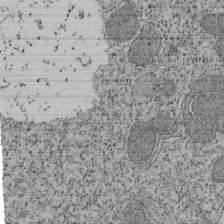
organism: Tetrahymena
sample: Cilia in tetrahymena